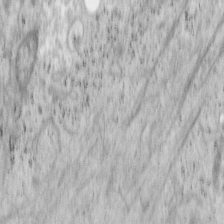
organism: Human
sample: HeLa cells